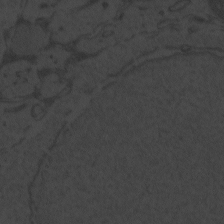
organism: Zebrafish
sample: Macrophage infected with Toxoplasma gondii